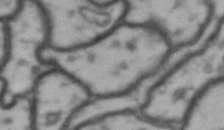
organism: Drosophila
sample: Brain